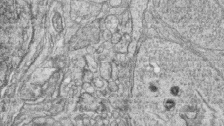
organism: Zebrafish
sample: synaptic ribbons in rod cells and cone cells